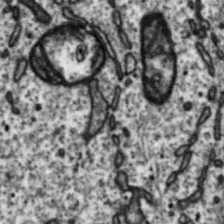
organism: Human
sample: HeLa cells